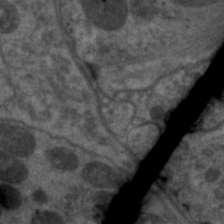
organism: C. elegans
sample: Pharynx